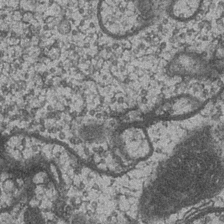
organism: Drosophila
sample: Optic medulla